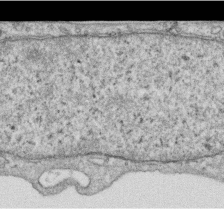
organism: Human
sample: Centriole in RPE cells